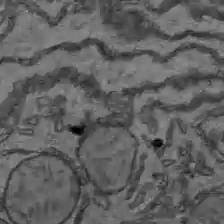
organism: C57BL Mouse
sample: Liver